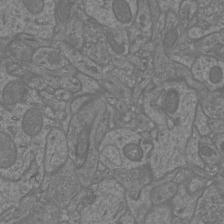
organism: Mouse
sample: Cortical neurons